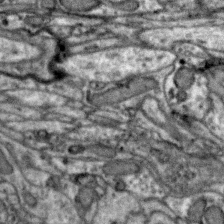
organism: Zebra finch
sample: Brain